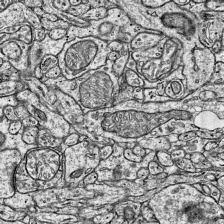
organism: Mouse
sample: Visual Cortex